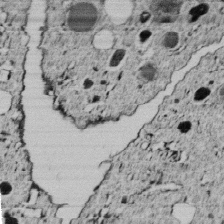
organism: C. elegans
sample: C. elegans embryo early stage